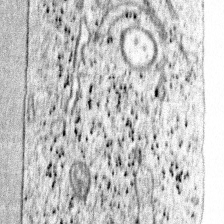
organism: Human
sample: HeLa cells